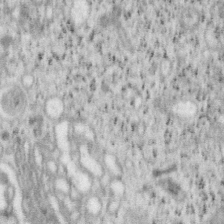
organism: Mouse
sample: OT-I killer T cells with ID8 ovarian cancer cells